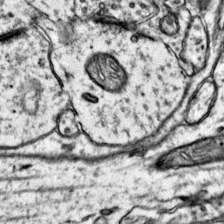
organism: Mouse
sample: Primary visual cortex